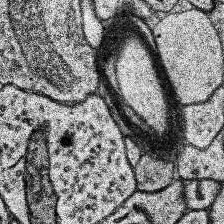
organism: Human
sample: Temporal Lobe